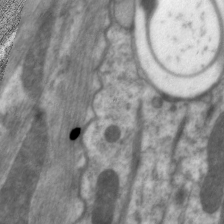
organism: C. elegans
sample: Pharynx